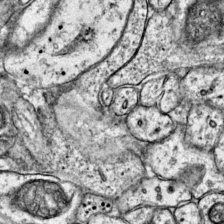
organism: Mouse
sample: Primary visual cortex